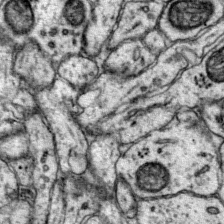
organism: Mouse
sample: Primary visual cortex